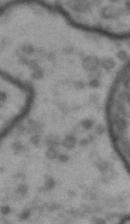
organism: Drosophila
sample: Brain